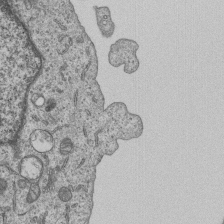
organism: Human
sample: MDA-MB-231 cells